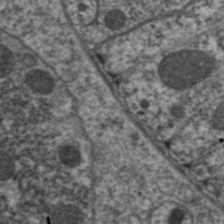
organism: C. elegans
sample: Pharynx